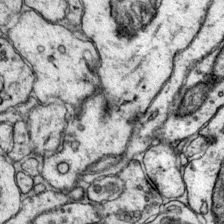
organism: Mouse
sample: Primary visual cortex